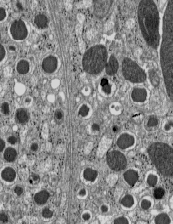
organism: C57BL Mouse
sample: Pancreatic islet